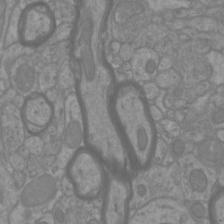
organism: Mouse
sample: Cortical neurons